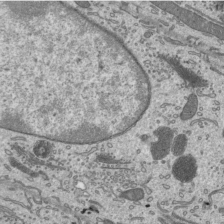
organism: Mouse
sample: Mouse epididymis efferent ductule cilia